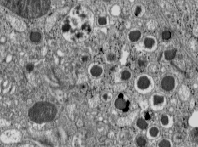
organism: C57BL Mouse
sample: Pancreatic islet